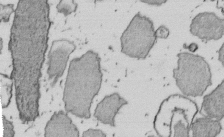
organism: E. coli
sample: Bacterial nucleoid